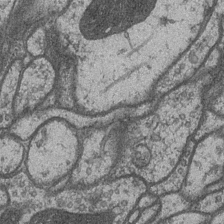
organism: Drosophila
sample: Optic medulla